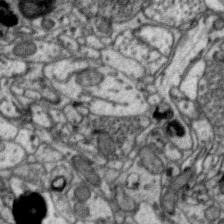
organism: Zebra finch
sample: Brain